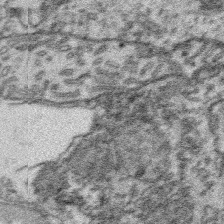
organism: Platynereis dumerilii